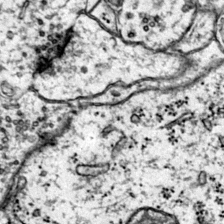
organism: Mouse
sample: Primary visual cortex